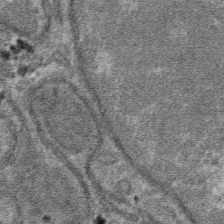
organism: Mouse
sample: Mouse hepatocytes